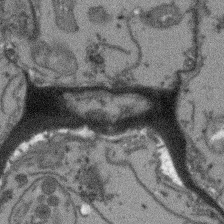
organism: Arabidopsis thaliana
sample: Root tip